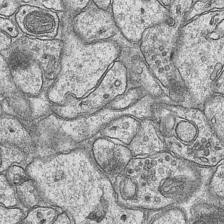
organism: Mouse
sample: CA1 Hippocampus